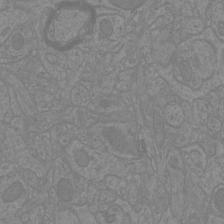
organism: Mouse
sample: Cortical neurons